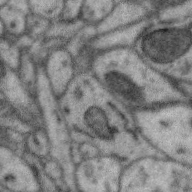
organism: Zebra finch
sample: Brain